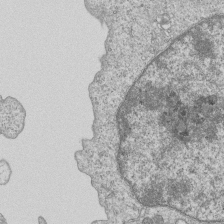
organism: Human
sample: MDA-MB-231 cells